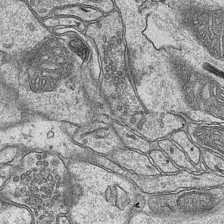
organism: Mouse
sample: CA1 Hippocampus